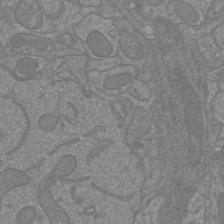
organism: Mouse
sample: Cortical neurons